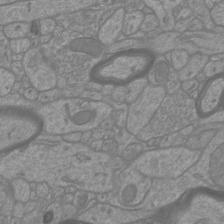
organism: Mouse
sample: Cortical neurons